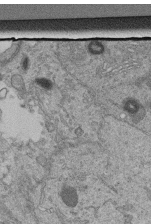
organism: Human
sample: Retinal organoid Rod and Cone cells